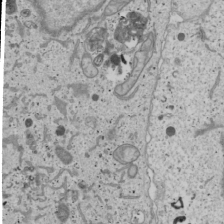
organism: Human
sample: Mitochondria in U2OS cells